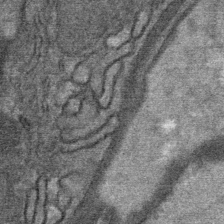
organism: Mouse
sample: Mouse Salivary gland